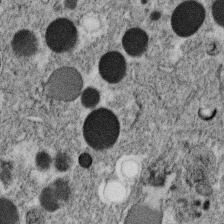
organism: C. elegans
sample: C. elegans oocyte; sperm cells